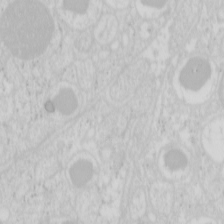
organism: Mouse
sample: Pancreas